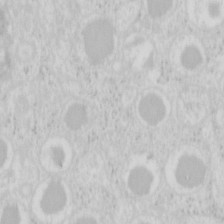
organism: Mouse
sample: Pancreas